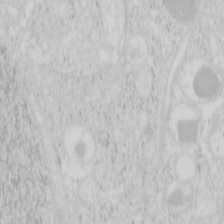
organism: Mouse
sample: Pancreas